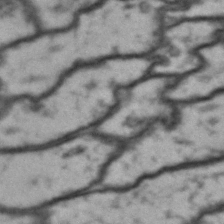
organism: Drosophila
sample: Brain